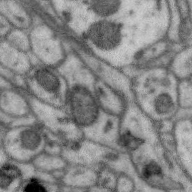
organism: Zebra finch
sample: Brain